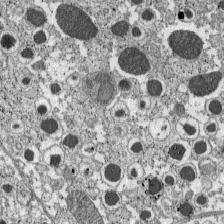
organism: C57BL Mouse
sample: Pancreatic islet